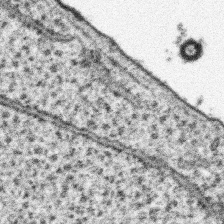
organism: Human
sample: HeLa cells